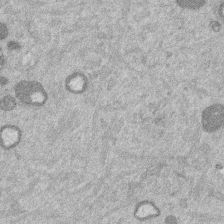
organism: Mouse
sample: Dividing mouse embryo 1 cell stage